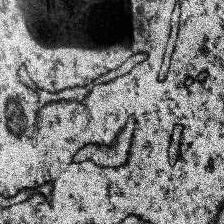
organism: Human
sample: Temporal Lobe